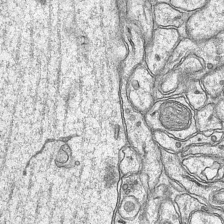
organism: Mouse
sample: CA1 Hippocampus